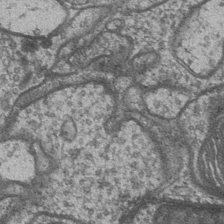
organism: Drosophila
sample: Optic medulla